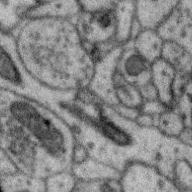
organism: Zebra finch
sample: Brain